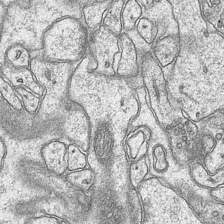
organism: Mouse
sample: CA1 Hippocampus